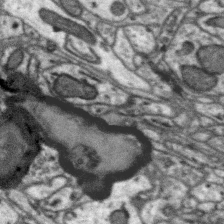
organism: Zebra finch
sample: Brain